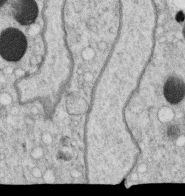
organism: C. elegans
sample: C. elegans oocyte; sperm cells